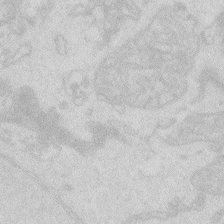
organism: Zebrafish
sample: Macrophage